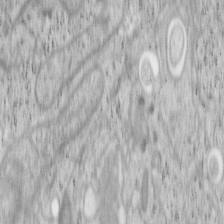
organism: Human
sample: HeLa cells